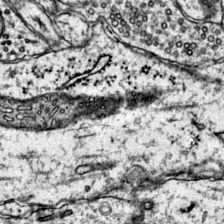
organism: Mouse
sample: Primary visual cortex